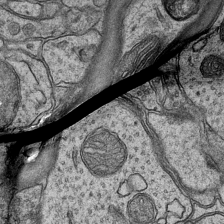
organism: Mouse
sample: CA1 Hippocampus